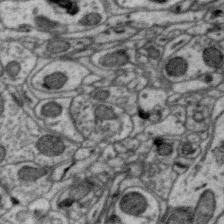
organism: Zebra finch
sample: Brain